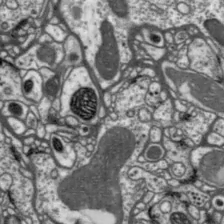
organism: Drosophila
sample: Protocerebral bridge